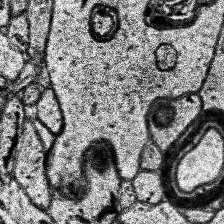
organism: Human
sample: Temporal Lobe